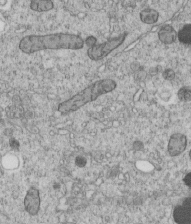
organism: C. elegans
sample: C. elegans embryo early stage